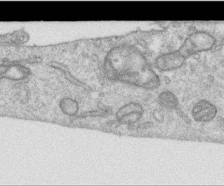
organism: Human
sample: Centriole in RPE cells